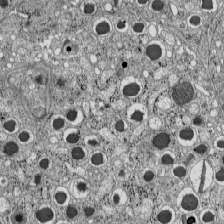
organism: C57BL Mouse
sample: Pancreatic islet